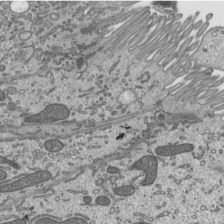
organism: Mouse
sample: Mouse epididymis efferent ductule cilia